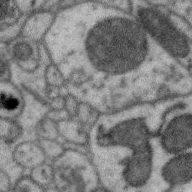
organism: Zebra finch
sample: Brain